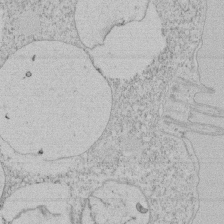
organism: Tetrahymena